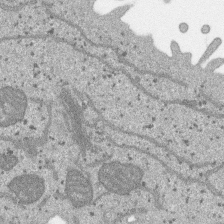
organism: Human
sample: Lung epithelial cells infected with SARS-CoV-2